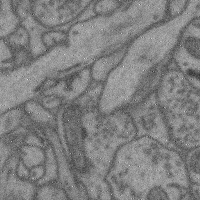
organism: Mouse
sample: Cerebral cortex